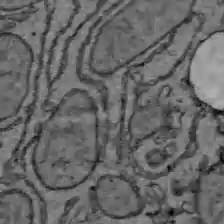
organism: C57BL Mouse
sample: Liver